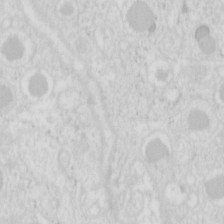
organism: Mouse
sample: Pancreas